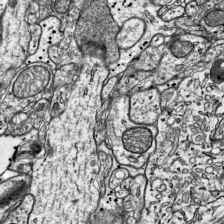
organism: Mouse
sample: Visual Cortex